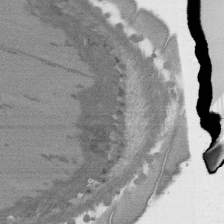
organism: C. elegans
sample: AFD neurons C. elegans